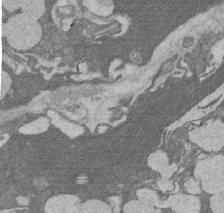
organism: Rat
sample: Salivary granule